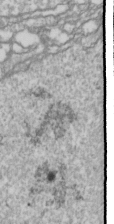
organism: Drosophila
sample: Cell division; meiosis; drosophila spermatocytes